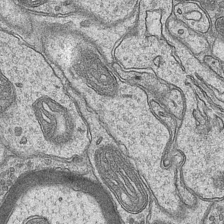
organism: Mouse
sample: CA1 Hippocampus